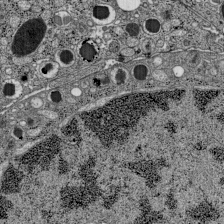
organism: C57BL Mouse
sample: Pancreatic islet